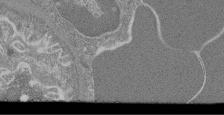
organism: Mouse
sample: Glomerulus